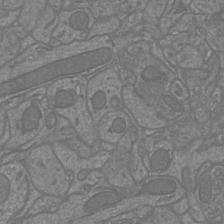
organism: Mouse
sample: Cortical neurons